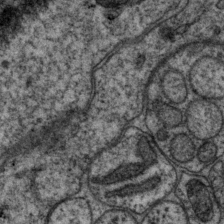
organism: P. pacificus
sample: Pharynx